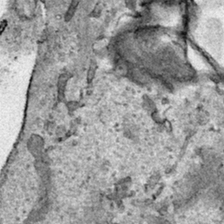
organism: Human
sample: Mitochondria in HCT116 cells